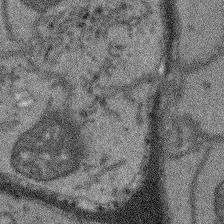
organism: Arabidopsis thaliana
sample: Root tip